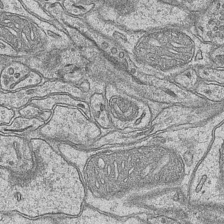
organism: Mouse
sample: CA1 Hippocampus